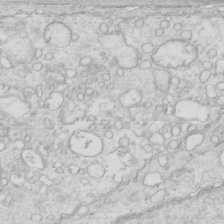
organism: Mouse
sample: Multiciliated cells